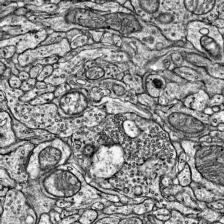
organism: Mouse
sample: Visual Cortex